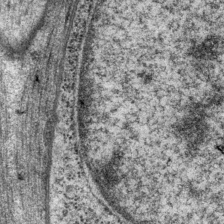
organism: P. pacificus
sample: Pharynx